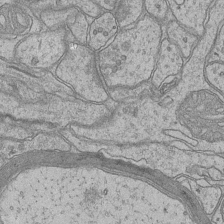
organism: Mouse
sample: CA1 Hippocampus